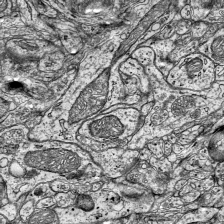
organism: Mouse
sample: Visual Cortex